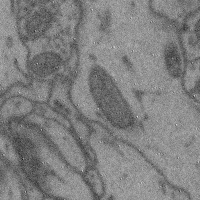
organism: Mouse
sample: Cerebral cortex